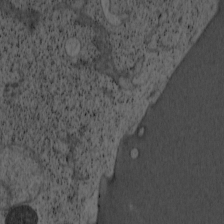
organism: African green monkey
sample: COS-7 cells